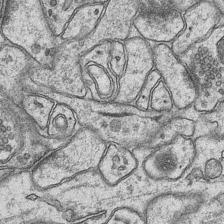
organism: Mouse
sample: CA1 Hippocampus